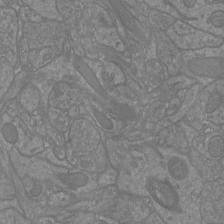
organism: Mouse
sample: Cortical neurons